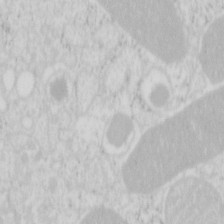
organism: Mouse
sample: Pancreas